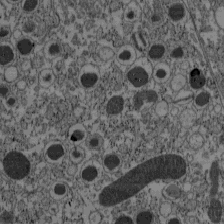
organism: C57BL Mouse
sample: Pancreatic islet